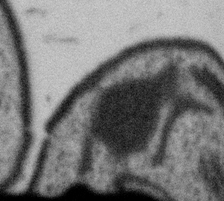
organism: Gemmata obscuriglobus